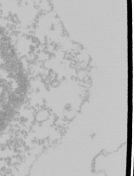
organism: Mouse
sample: Cancer cell death in ED-1 cells